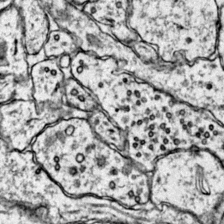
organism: Mouse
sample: Primary visual cortex